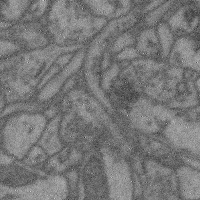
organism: Mouse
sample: Cerebral cortex